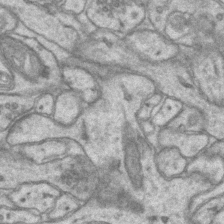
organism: Mouse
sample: CA1 Hippocampus